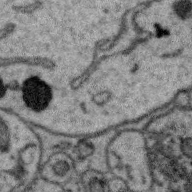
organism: Zebra finch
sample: Brain